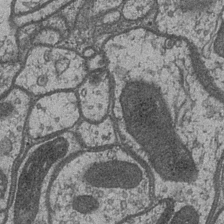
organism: Drosophila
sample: Optic medulla